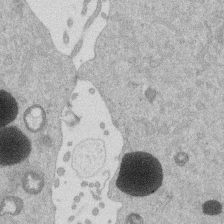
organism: Mouse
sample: Dividing mouse embryo 1 cell stage